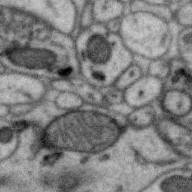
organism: Zebra finch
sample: Brain